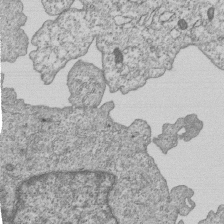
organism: Human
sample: MDA-MB-231 cells